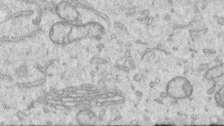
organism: Human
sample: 1205lu cells